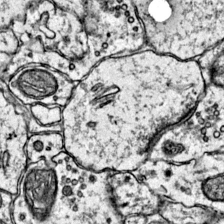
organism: Mouse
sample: Primary visual cortex